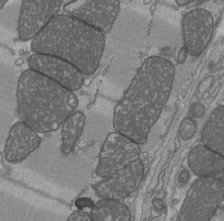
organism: C57BL Mouse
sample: Heart